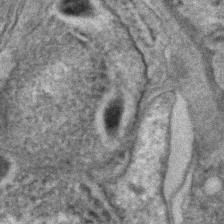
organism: C. elegans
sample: C. elegans embryo